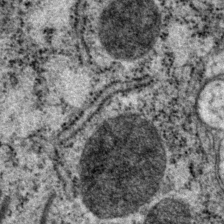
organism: P. pacificus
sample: Pharynx